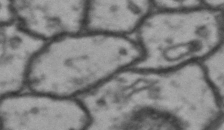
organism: Drosophila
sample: Brain